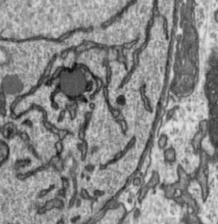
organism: Toxoplasma gondii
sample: Parasites in a vacuole inside a host cell